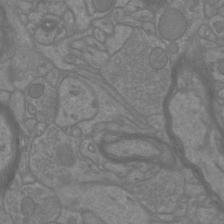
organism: Mouse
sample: Cortical neurons